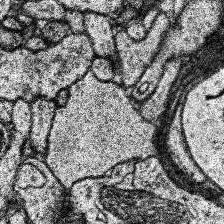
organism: Human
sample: Temporal Lobe